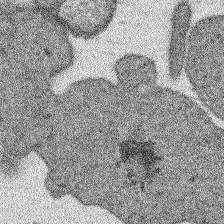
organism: Human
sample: HeLa cells